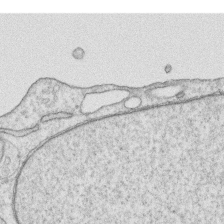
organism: Human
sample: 1205lu cells